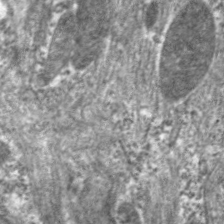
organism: C. elegans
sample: Pharynx